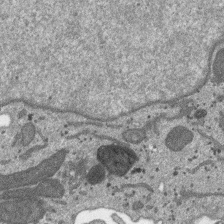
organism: Human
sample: Lung epithelial cells infected with SARS-CoV-2